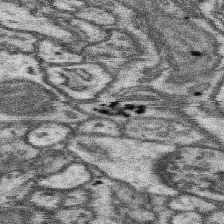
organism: Mouse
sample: Somatosensory cortex neuropil